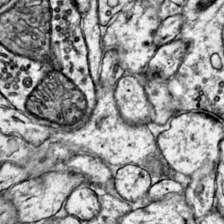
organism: Mouse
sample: Primary visual cortex